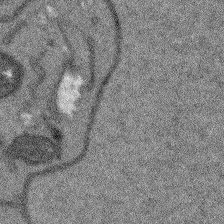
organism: Arabidopsis thaliana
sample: Root tip